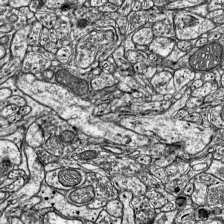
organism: Mouse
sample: Visual Cortex